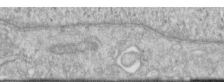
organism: Human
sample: Centriole in RPE cells